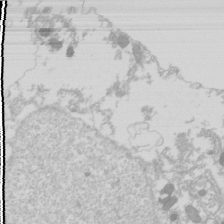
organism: Drosophila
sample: Cell division; meiosis; drosophila spermatocytes